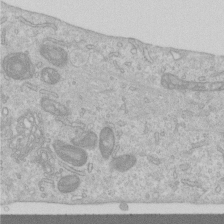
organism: Human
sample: Centriole in RPE cells